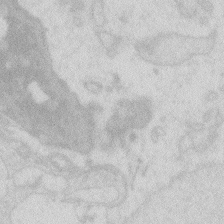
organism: Zebrafish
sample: Macrophage